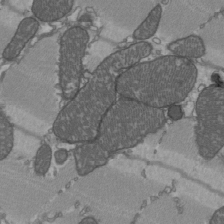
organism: C57BL Mouse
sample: Heart